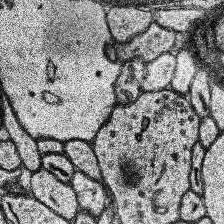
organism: Human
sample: Temporal Lobe